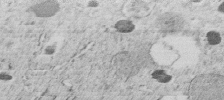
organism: C. elegans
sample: C. elegans embryo early stage